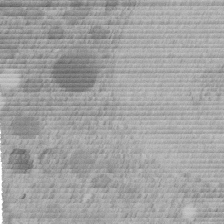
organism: C. elegans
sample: C. elegans embryo early stage